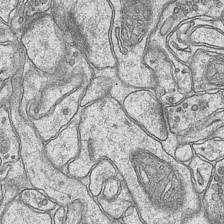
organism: Mouse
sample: CA1 Hippocampus